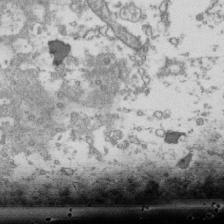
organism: Human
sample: Activated Jurkat CD4+ T cells